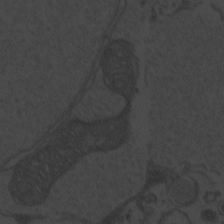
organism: Zebrafish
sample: Macrophage infected with Toxoplasma gondii